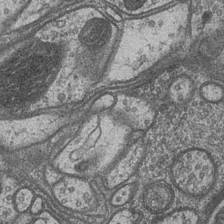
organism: Drosophila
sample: Optic medulla